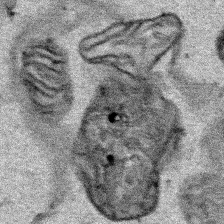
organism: Human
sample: Mitochondria in HCT116 cells